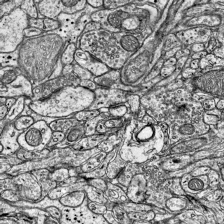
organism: Mouse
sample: Visual Cortex